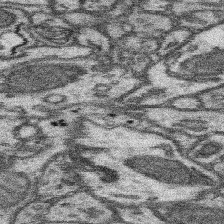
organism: Mouse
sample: Somatosensory cortex neuropil